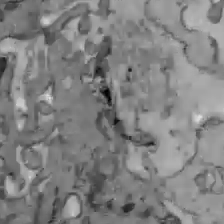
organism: C57BL Mouse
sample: Liver